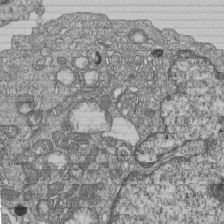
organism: Human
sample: MDA-MB-231 cells